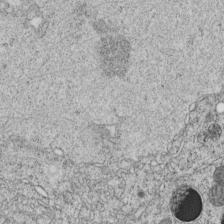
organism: C. elegans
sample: C. elegans embryo early stage